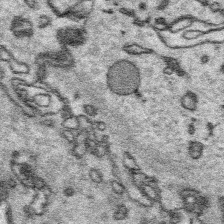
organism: Platynereis dumerilii